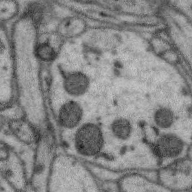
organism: Zebra finch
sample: Brain